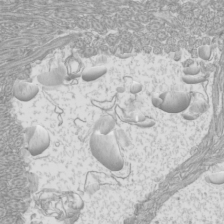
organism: Mouse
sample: Cilia; mouse epididymis